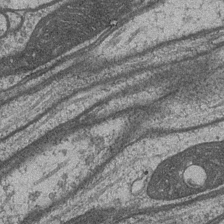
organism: Drosophila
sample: Optic medulla